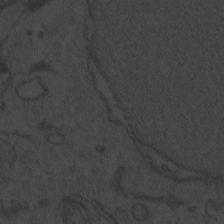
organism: Zebrafish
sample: Macrophage infected with Toxoplasma gondii